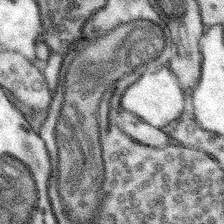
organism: Mouse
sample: Somatosensory cortex neuropil